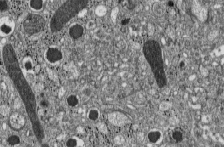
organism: C57BL Mouse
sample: Pancreatic islet